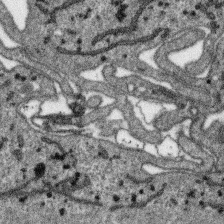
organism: Human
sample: Lung epithelial cells infected with SARS-CoV-2